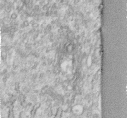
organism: Human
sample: Centriole in fibroblast cells